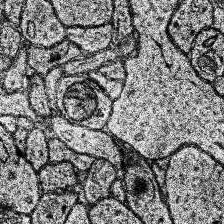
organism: Human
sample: Temporal Lobe